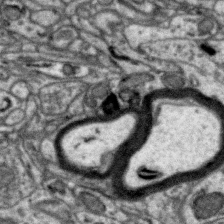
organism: Zebra finch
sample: Brain